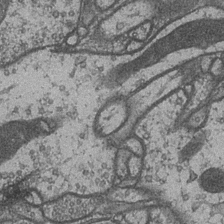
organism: Drosophila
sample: Optic medulla